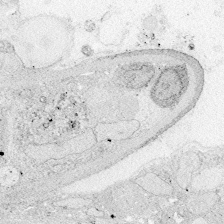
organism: Zebrafish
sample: Whole-Brain